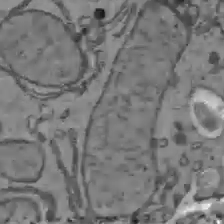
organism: C57BL Mouse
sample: Liver